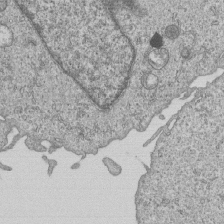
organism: Human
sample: MDA-MB-231 cells